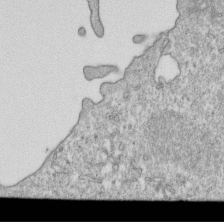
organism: Mouse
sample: Activated OT-1 CD8+ T cells